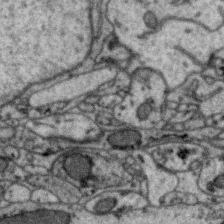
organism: Zebra finch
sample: Brain